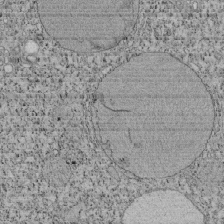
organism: Tetrahymena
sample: Cilia in tetrahymena